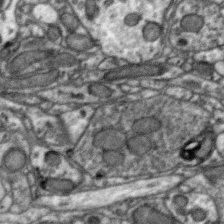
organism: Zebra finch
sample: Brain